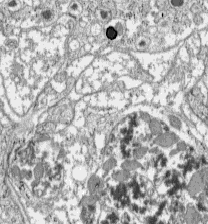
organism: C57BL Mouse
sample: Pancreatic islet